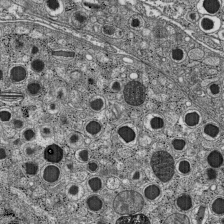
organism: C57BL Mouse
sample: Pancreatic islet